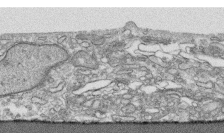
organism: Human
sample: CRL-1474